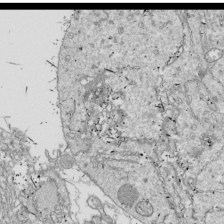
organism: Drosophila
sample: Cell division; meiosis; drosophila spermatocytes